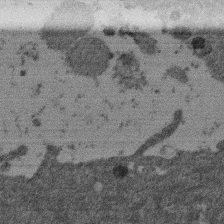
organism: Mouse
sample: Dividing mouse embryo 1 cell stage